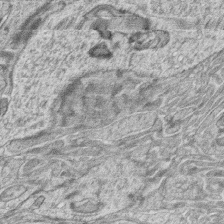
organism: Zebrafish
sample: synaptic ribbons in rod cells and cone cells